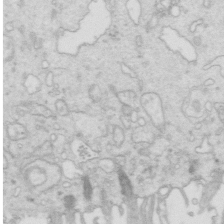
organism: Mouse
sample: Multiciliated cells